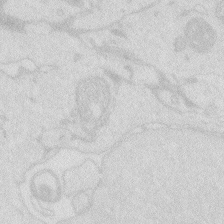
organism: Zebrafish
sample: Macrophage